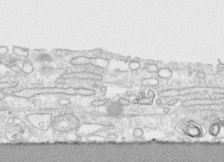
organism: Human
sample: CRL-1474